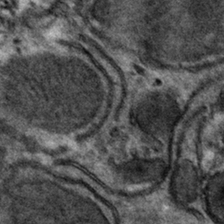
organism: Mouse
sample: Mouse hepatocytes